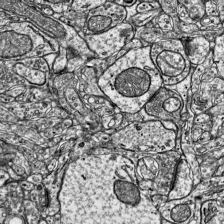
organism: Mouse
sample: Visual Cortex